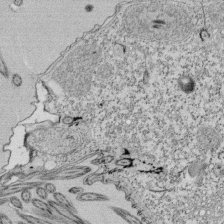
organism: Tetrahymena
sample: Cilia in tetrahymena